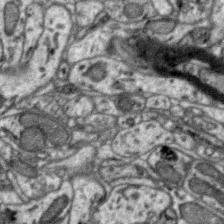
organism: Zebra finch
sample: Brain